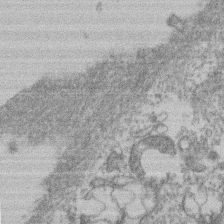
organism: Mouse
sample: T cell stromal cell synapse